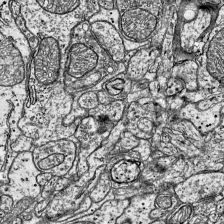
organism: Mouse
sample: Visual Cortex